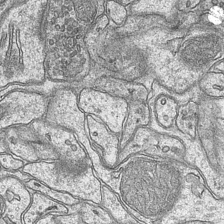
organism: Mouse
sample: CA1 Hippocampus